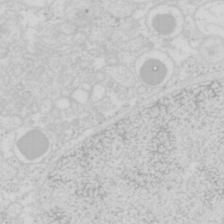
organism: Mouse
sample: Pancreas